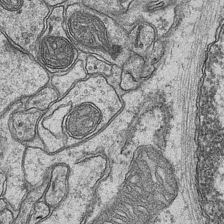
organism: Mouse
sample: CA1 Hippocampus